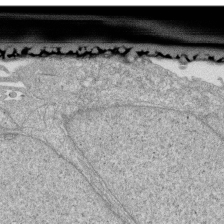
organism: Human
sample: HeLa cell HIV synapse